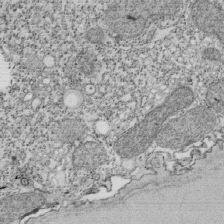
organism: Tetrahymena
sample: Cilia in tetrahymena